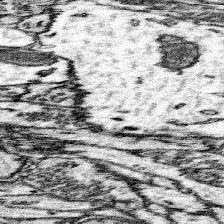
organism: Mouse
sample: Somatosensory cortex neuropil